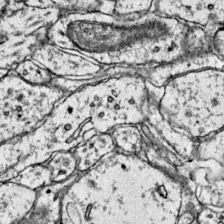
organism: Mouse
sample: Primary visual cortex